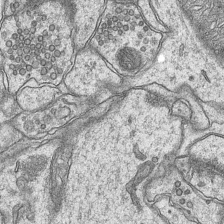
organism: Mouse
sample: CA1 Hippocampus